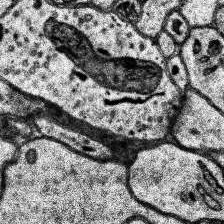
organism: Human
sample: Temporal Lobe